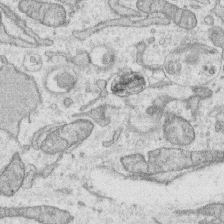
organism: Human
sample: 1205lu cells